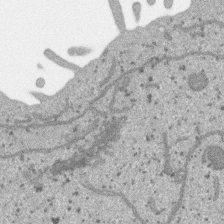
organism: Human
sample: Lung epithelial cells infected with SARS-CoV-2